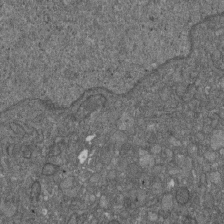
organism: Drosophila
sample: Nephrocyte